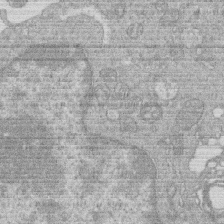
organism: Human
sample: Macrophage cells